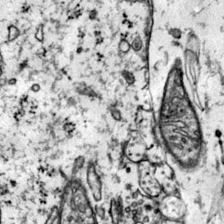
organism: Mouse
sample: Primary visual cortex